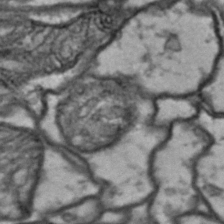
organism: Drosophila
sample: Brain